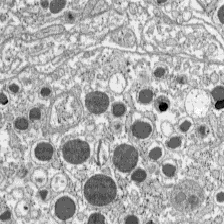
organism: C57BL Mouse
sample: Pancreatic islet